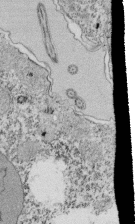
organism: Tetrahymena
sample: Cilia in tetrahymena